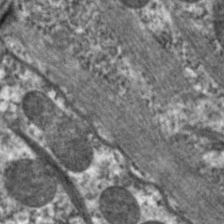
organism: C. elegans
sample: Pharynx